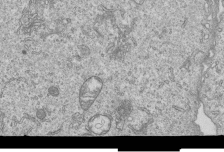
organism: Human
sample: MDA-MB-231 cells